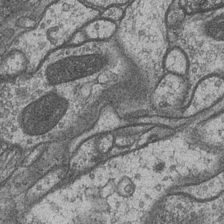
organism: Drosophila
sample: Optic medulla